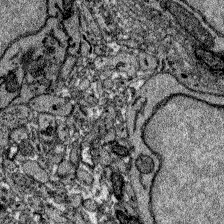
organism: Zebrafish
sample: Larval olfactory bulb